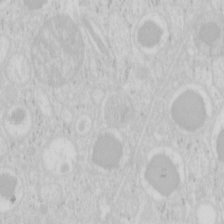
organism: Mouse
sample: Pancreas